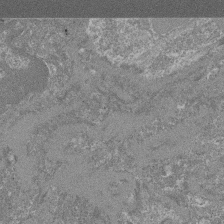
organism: Mouse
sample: Glomerulus